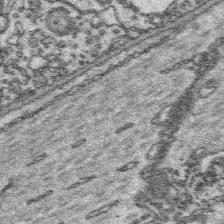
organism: Platynereis dumerilii